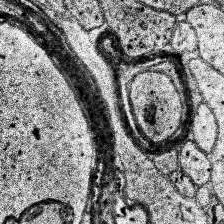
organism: Human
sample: Temporal Lobe